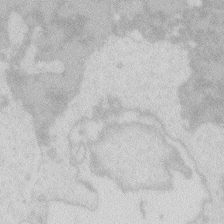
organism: Zebrafish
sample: Macrophage